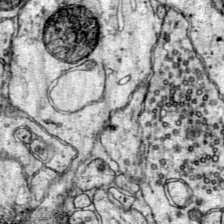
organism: Mouse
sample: Primary visual cortex